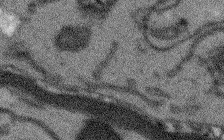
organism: Arabidopsis thaliana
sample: Root tip